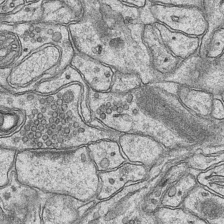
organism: Mouse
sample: CA1 Hippocampus